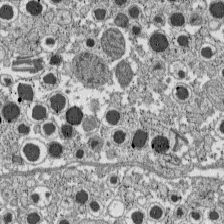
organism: C57BL Mouse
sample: Pancreatic islet